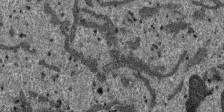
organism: Human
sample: Lung epithelial cells infected with SARS-CoV-2